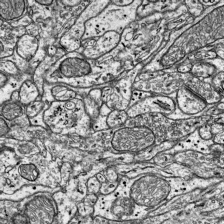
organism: Mouse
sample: Visual Cortex